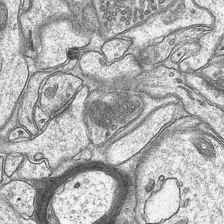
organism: Mouse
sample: CA1 Hippocampus